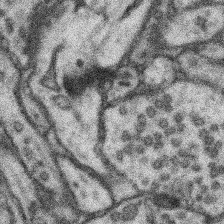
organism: Mouse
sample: Somatosensory cortex neuropil